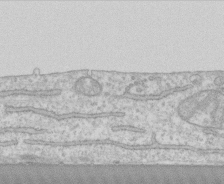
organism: Human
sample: CRL-1474